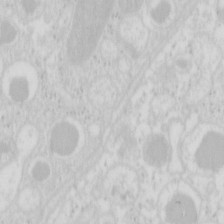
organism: Mouse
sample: Pancreas